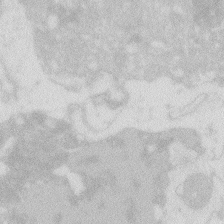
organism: Zebrafish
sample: Macrophage